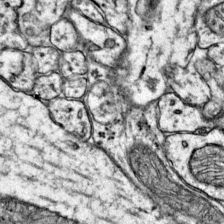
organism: Mouse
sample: Primary visual cortex